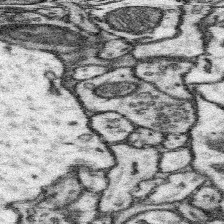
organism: Mouse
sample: Somatosensory cortex neuropil